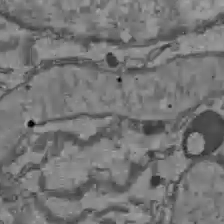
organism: C57BL Mouse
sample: Liver